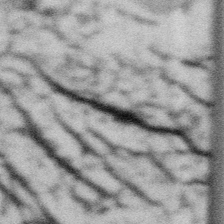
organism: Gemmata obscuriglobus